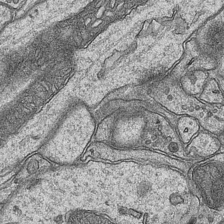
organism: Mouse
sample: CA1 Hippocampus